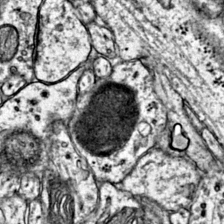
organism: Mouse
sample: Primary visual cortex